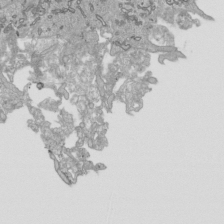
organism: Human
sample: Mitochondria in HCT116 cells